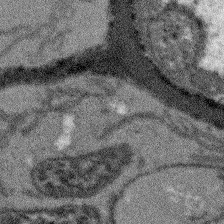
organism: Arabidopsis thaliana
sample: Root tip